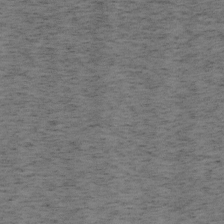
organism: Mouse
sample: OT-I killer T cells with ID8 ovarian cancer cells